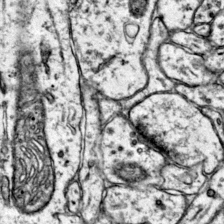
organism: Mouse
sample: Primary visual cortex